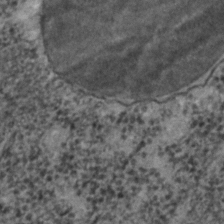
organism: C. elegans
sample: C. elegans embryo